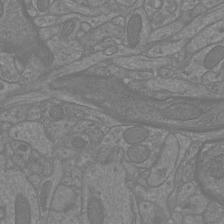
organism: Mouse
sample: Cortical neurons